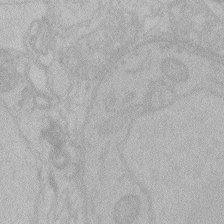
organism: Zebrafish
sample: Macrophage infected with Toxoplasma gondii